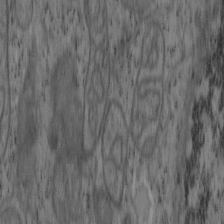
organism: Human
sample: HeLa cells